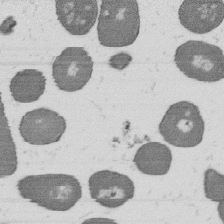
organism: B. subtilis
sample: Bacterial spore